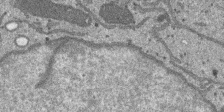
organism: Human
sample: Lung epithelial cells infected with SARS-CoV-2